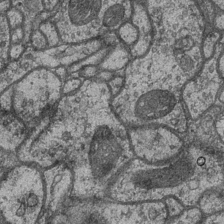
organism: Drosophila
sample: Optic medulla